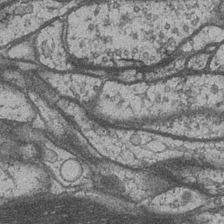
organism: Drosophila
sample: Optic medulla